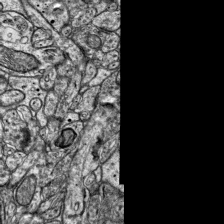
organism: Mouse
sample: Visual Cortex